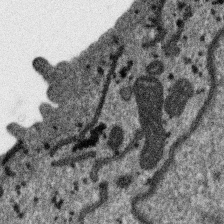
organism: Human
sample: Lung epithelial cells infected with SARS-CoV-2